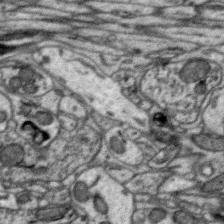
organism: Zebra finch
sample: Brain